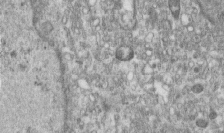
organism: Human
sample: Centriole in RPE cells